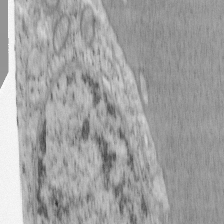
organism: Human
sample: HeLa cells